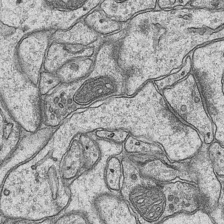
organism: Mouse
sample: CA1 Hippocampus